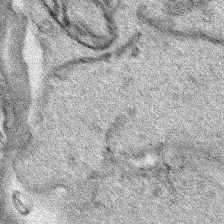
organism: Human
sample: Mitochondria in HCT116 cells